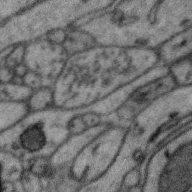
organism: Zebra finch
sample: Brain